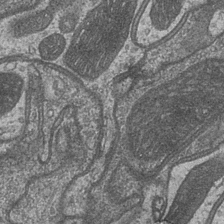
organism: Drosophila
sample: Optic medulla